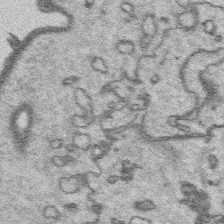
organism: Platynereis dumerilii